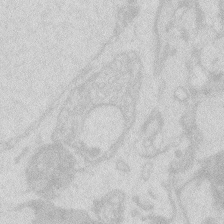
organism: Zebrafish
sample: Macrophage